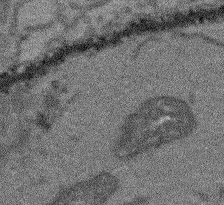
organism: Arabidopsis thaliana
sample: Root tip